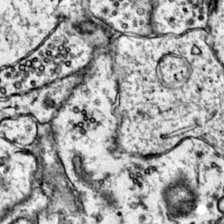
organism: Mouse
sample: Primary visual cortex